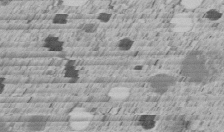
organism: C. elegans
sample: C. elegans embryo early stage